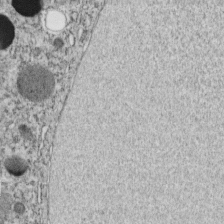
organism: C. elegans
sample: C. elegans embryo early stage